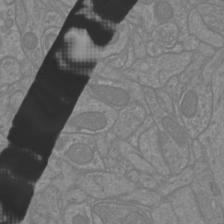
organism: Mouse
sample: Cortical neurons